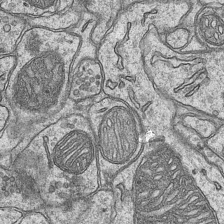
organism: Mouse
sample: CA1 Hippocampus